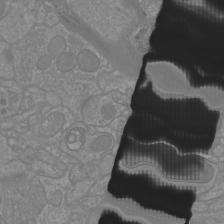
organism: Mouse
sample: Cortical neurons